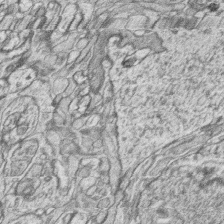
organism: Zebrafish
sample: synaptic ribbons in rod cells and cone cells